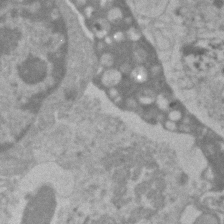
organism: Human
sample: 1205lu cells